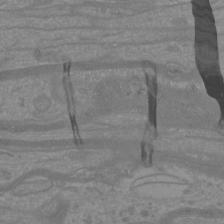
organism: Mouse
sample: Cortical neurons